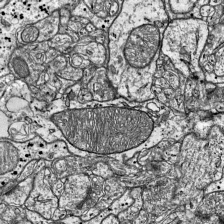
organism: Mouse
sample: Visual Cortex